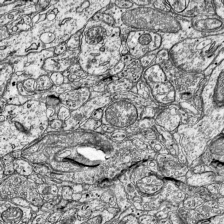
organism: Mouse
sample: Visual Cortex